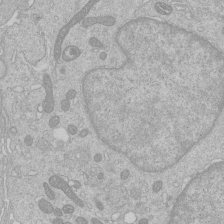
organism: Human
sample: Macrophage cells